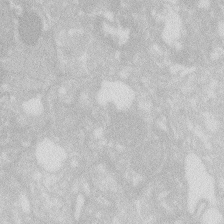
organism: Zebrafish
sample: Macrophage